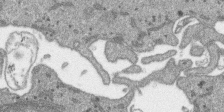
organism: Human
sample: Lung epithelial cells infected with SARS-CoV-2